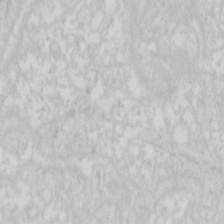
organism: Mouse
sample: Pancreas